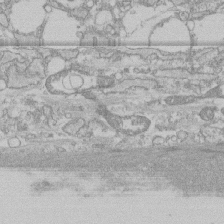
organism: Human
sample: CRL-1474